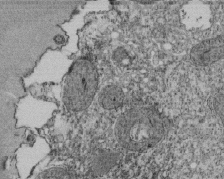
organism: Tetrahymena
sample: Cilia in tetrahymena